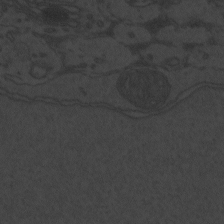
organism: Zebrafish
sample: Macrophage infected with Toxoplasma gondii